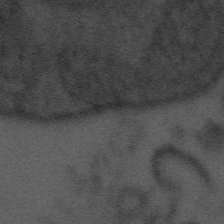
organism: Tuwongella immobilis